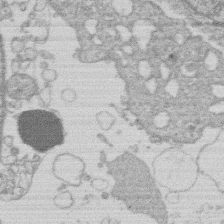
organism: Human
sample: Macrophage cells